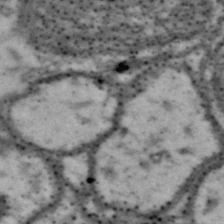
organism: Drosophila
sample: Brain